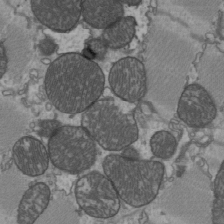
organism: C57BL Mouse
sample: Heart